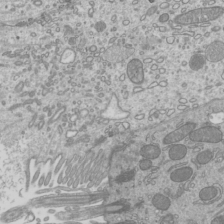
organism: Mouse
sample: Cilia; mouse epididymis